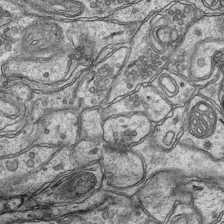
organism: Mouse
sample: CA1 Hippocampus